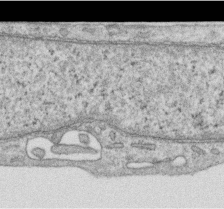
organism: Human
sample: Centriole in RPE cells